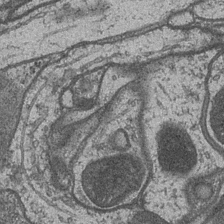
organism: Drosophila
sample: Optic medulla